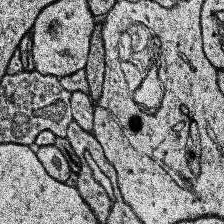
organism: Human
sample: Temporal Lobe